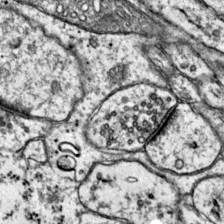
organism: Mouse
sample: Primary visual cortex